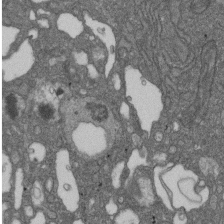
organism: Drosophila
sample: Nephrocyte